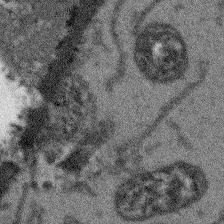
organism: Arabidopsis thaliana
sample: Root tip